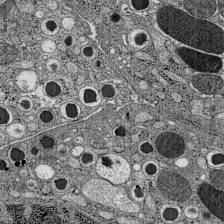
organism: C57BL Mouse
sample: Pancreatic islet